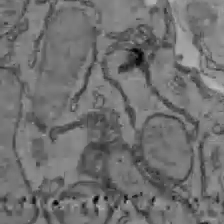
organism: C57BL Mouse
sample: Liver